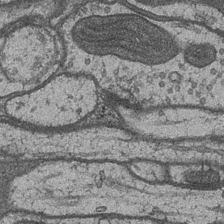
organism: Drosophila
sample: Optic medulla